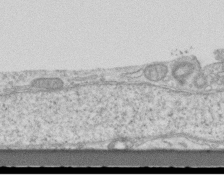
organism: Mouse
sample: Centriole in ependymal cells